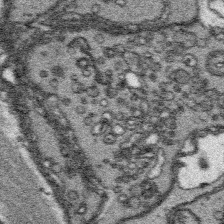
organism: Platynereis dumerilii